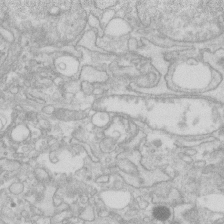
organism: Human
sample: Fibroblast cells